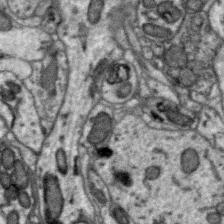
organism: Zebra finch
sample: Brain